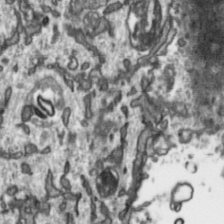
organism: Toxoplasma gondii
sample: Parasites in a vacuole inside a host cell